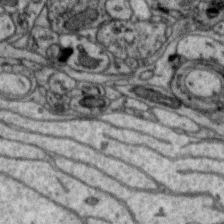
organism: Zebra finch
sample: Brain